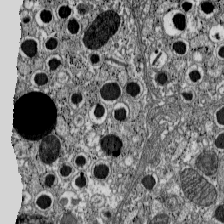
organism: C57BL Mouse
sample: Pancreatic islet